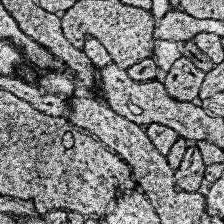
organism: Human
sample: Temporal Lobe